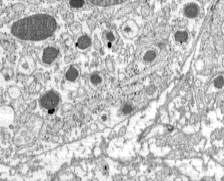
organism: C57BL Mouse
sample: Pancreatic islet